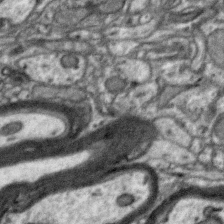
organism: Zebra finch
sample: Brain